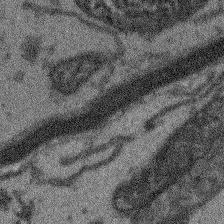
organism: Arabidopsis thaliana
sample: Root tip